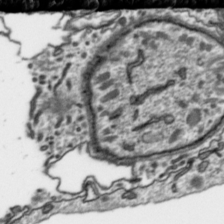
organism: Toxoplasma gondii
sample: Parasites in a vacuole inside a host cell